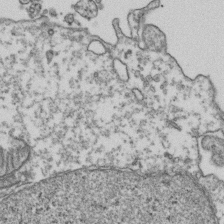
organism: Human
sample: Activated Jurkat CD4+ T cells